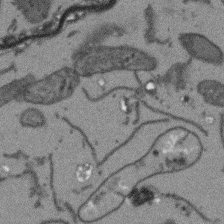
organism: Arabidopsis thaliana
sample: Root tip